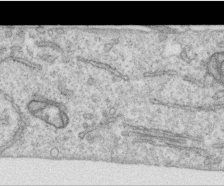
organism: Human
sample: Centriole in RPE cells